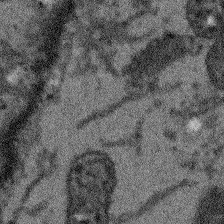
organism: Arabidopsis thaliana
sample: Root tip